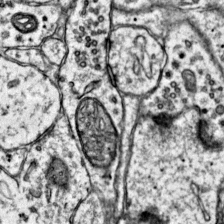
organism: Mouse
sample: Primary visual cortex